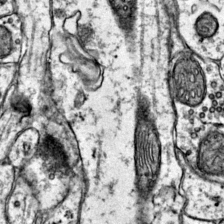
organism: Mouse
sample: Primary visual cortex